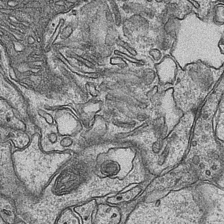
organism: Mouse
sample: CA1 Hippocampus